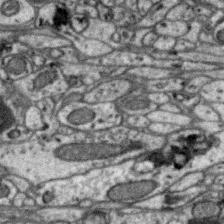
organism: Zebra finch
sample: Brain